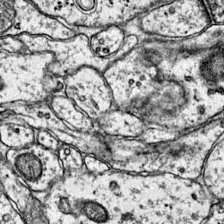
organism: Mouse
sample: Primary visual cortex